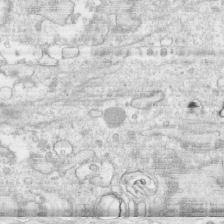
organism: Human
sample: CRL-1474